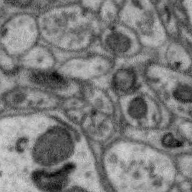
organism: Zebra finch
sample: Brain